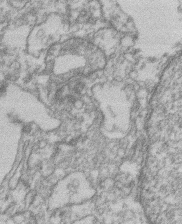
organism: Mouse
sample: T cell stromal cell synapse